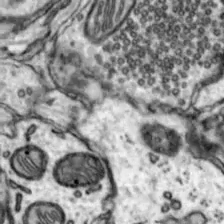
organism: Mouse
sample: Nucleus accumbens